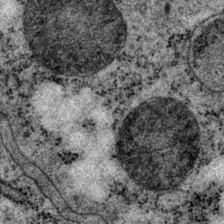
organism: P. pacificus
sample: Pharynx